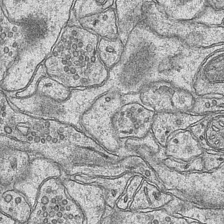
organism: Mouse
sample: CA1 Hippocampus